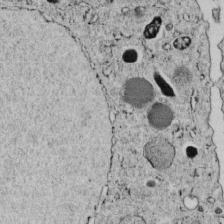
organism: C. elegans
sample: C. elegans embryo early stage